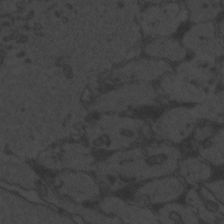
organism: Zebrafish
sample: Macrophage infected with Toxoplasma gondii